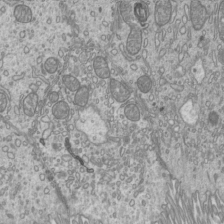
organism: Mouse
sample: Cilia; mouse epididymis